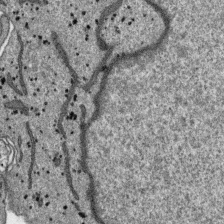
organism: Human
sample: Lung epithelial cells, uninfected (mock) control